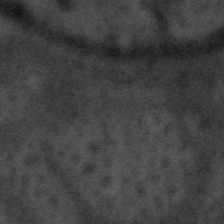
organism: Tuwongella immobilis